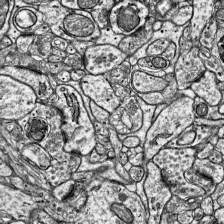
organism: Mouse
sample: Visual Cortex